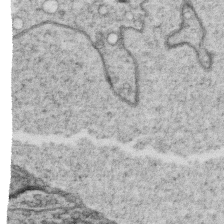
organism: C. elegans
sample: C. elegans oocyte; sperm cells